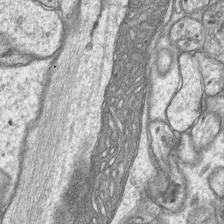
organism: Mouse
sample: CA1 Hippocampus